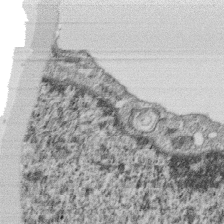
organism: African green monkey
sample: Vero E6 cells infected with SARS-CoV-2